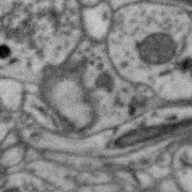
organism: Zebra finch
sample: Brain